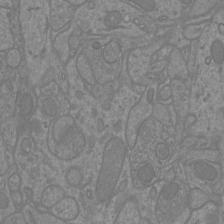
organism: Mouse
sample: Cortical neurons